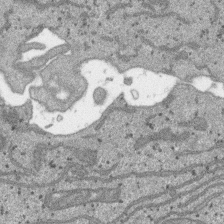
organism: Human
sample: Lung epithelial cells infected with SARS-CoV-2